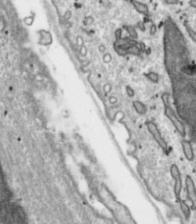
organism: Toxoplasma gondii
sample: Parasites in a vacuole inside a host cell